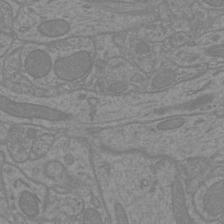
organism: Mouse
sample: Cortical neurons